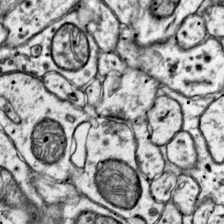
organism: Mouse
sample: Primary visual cortex